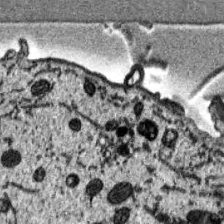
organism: Human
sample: HeLa cells